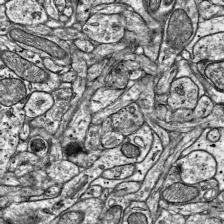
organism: Mouse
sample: Visual Cortex